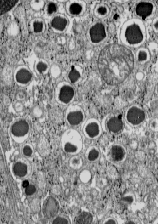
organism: C57BL Mouse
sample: Pancreatic islet